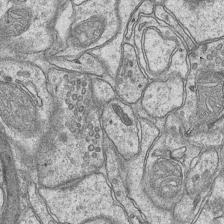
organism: Mouse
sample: CA1 Hippocampus